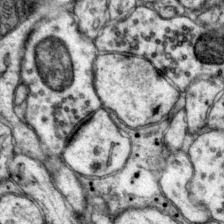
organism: Mouse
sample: Primary visual cortex